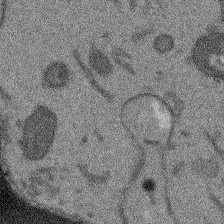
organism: Arabidopsis thaliana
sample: Root tip